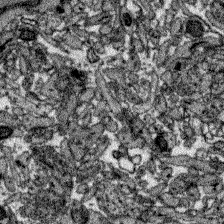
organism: Zebrafish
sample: Larval olfactory bulb